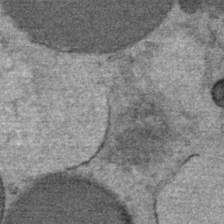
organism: Mouse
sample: Mouse Salivary gland